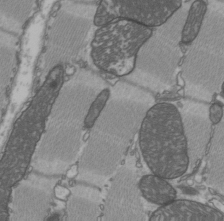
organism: C57BL Mouse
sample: Heart